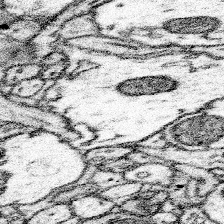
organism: Mouse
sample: Somatosensory cortex neuropil